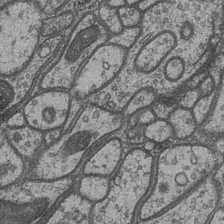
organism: Drosophila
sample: Optic medulla